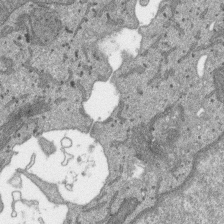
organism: Human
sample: Lung epithelial cells infected with SARS-CoV-2